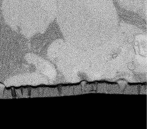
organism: Rat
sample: Salivary granule